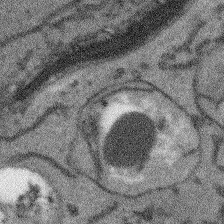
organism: Arabidopsis thaliana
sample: Root tip